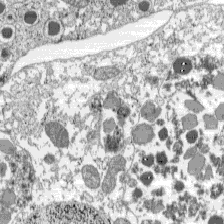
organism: C57BL Mouse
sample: Pancreatic islet